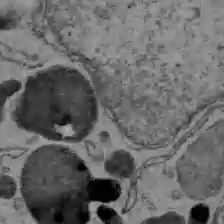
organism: C57BL Mouse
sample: Liver